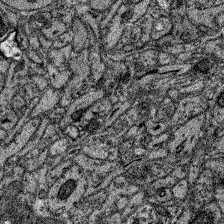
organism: Zebrafish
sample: Larval olfactory bulb